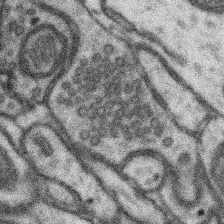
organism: Mouse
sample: Somatosensory cortex neuropil